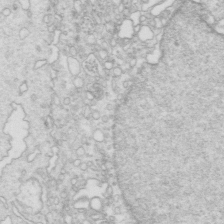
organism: Mouse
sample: Multiciliated cells